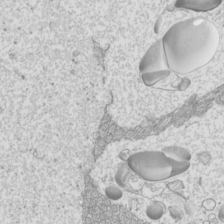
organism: Mouse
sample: Cilia; mouse epididymis